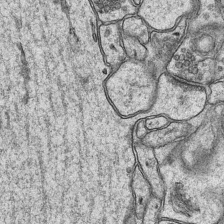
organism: Mouse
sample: CA1 Hippocampus